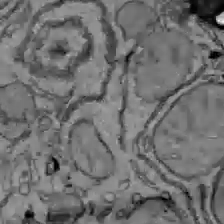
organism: C57BL Mouse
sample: Liver